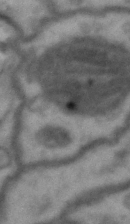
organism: Drosophila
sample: Brain